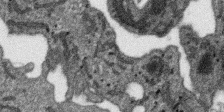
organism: Human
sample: Lung epithelial cells infected with SARS-CoV-2